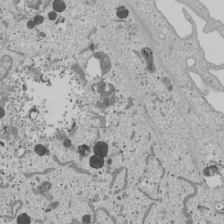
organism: Human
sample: Mitochondria in U2OS cells